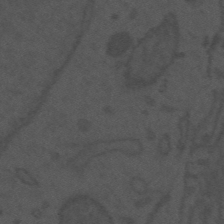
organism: Mouse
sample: Suprachiasmatic nucleus